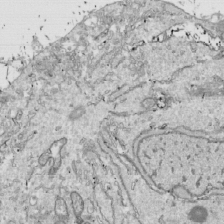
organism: Drosophila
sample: Cell division; meiosis; drosophila spermatocytes